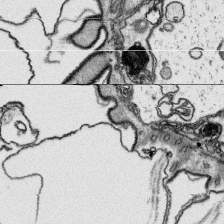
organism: Platynereis dumerilii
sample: Parapodia